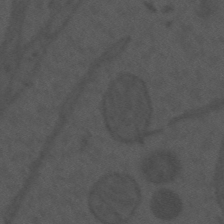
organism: Mouse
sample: Suprachiasmatic nucleus